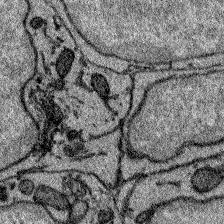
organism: Zebrafish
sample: Larval olfactory bulb